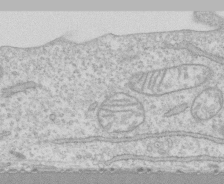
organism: Human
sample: CRL-1474